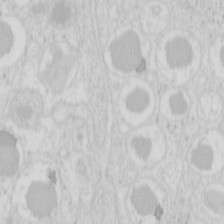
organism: Mouse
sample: Pancreas